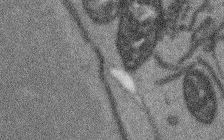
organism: Arabidopsis thaliana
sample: Root tip